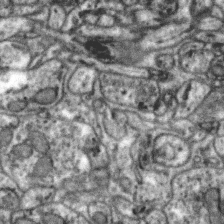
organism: Zebra finch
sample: Brain